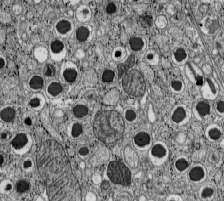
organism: C57BL Mouse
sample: Pancreatic islet